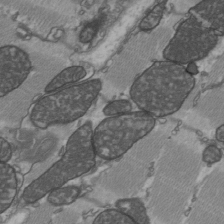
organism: C57BL Mouse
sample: Heart